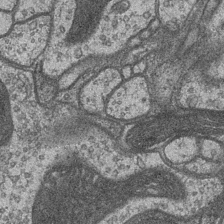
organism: Drosophila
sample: Optic medulla